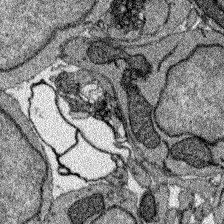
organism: Zebrafish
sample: Larval olfactory bulb